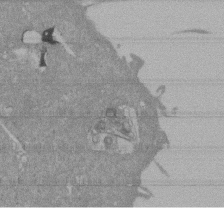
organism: Mouse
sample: ED-1 cell nuclei; centrioles